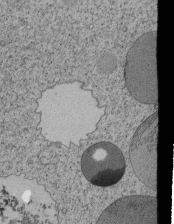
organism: Tetrahymena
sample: Cilia in tetrahymena